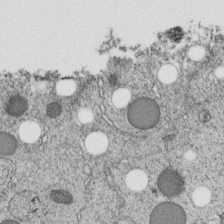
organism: C. elegans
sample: C. elegans embryo early stage